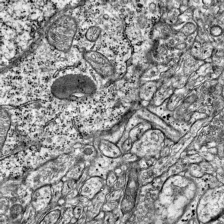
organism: Mouse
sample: Visual Cortex